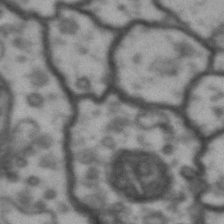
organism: Drosophila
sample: Brain